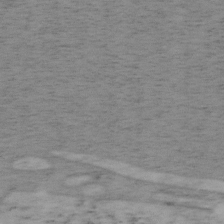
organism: Mouse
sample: OT-I killer T cells with ID8 ovarian cancer cells